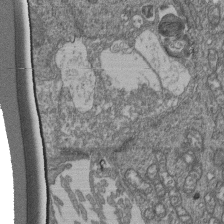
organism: Human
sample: Retinal organoid Rod and Cone cells